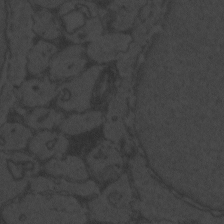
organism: Zebrafish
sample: Macrophage infected with Toxoplasma gondii